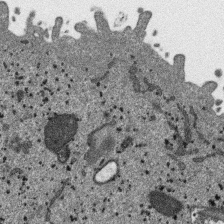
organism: Human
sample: Lung epithelial cells infected with SARS-CoV-2